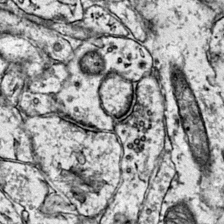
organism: Mouse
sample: Primary visual cortex